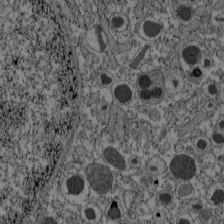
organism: C57BL Mouse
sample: Pancreatic islet